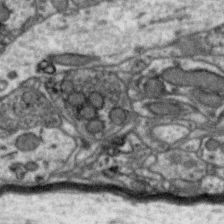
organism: Zebra finch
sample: Brain